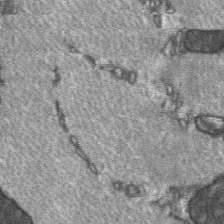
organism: C57BL Mouse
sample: Soleus